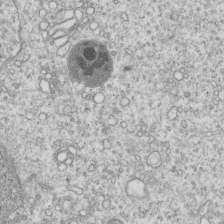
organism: Human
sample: MDA-MB-231 cells